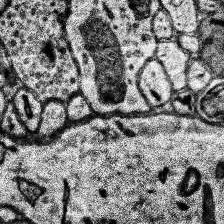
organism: Human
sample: Temporal Lobe